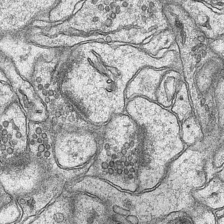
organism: Mouse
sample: CA1 Hippocampus